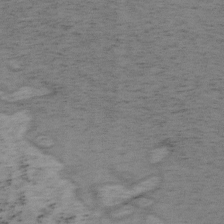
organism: Mouse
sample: OT-I killer T cells with ID8 ovarian cancer cells